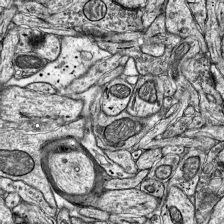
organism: Mouse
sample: Visual Cortex